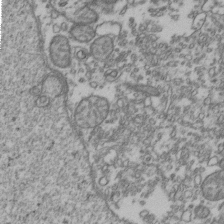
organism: Human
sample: Activated Jurkat CD4+ T cells